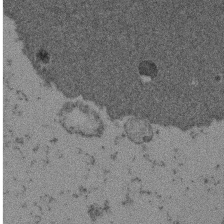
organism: Mouse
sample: Dividing mouse embryo 1 cell stage